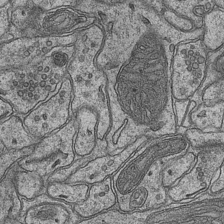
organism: Mouse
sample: CA1 Hippocampus